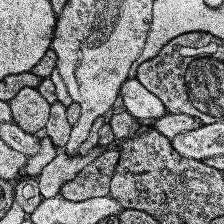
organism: Human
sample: Temporal Lobe